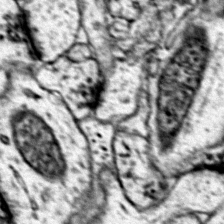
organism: Mouse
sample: Primary visual cortex